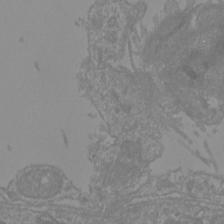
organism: Mouse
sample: Cortical neurons